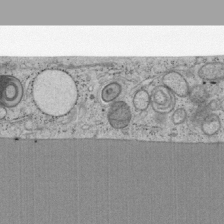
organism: Human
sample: HeLa cells